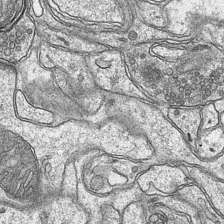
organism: Mouse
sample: CA1 Hippocampus